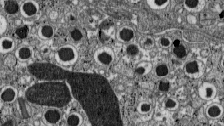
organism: C57BL Mouse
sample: Pancreatic islet